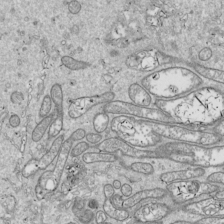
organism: Drosophila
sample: Cell division; meiosis; drosophila spermatocytes